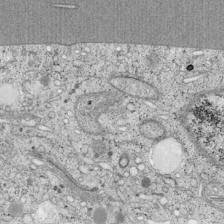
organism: African green monkey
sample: COS-7 cells